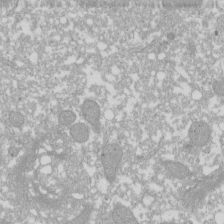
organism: Xenopus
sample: Cilia; centrioles in frog embryo cells